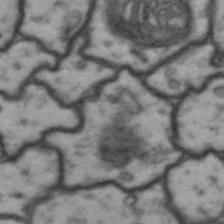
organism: Drosophila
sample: Brain